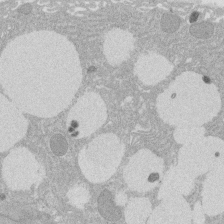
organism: Rat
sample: Salivary granule